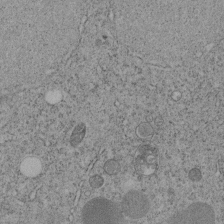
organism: C. elegans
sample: C. elegans embryo early stage